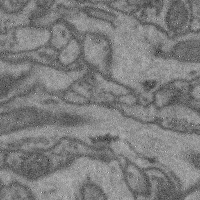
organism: Mouse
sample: Cerebral cortex